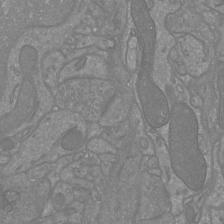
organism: Mouse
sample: Cortical neurons